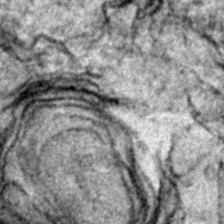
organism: Zebrafish